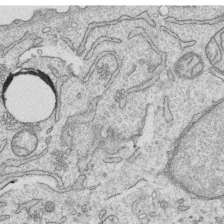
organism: Human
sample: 1205lu cells